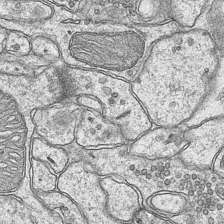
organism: Mouse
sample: CA1 Hippocampus